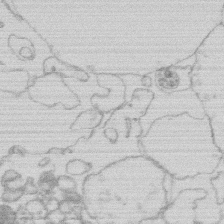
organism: Human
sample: Macrophage cells